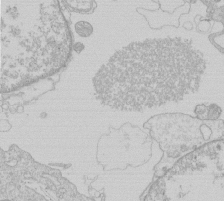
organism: Human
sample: Macrophage cells